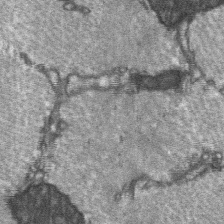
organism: C57BL Mouse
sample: Soleus